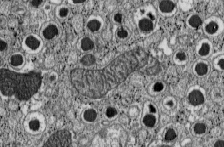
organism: C57BL Mouse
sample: Pancreatic islet